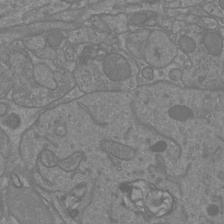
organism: Mouse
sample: Cortical neurons